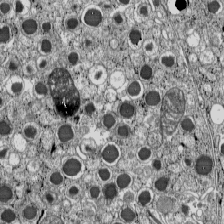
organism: C57BL Mouse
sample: Pancreatic islet